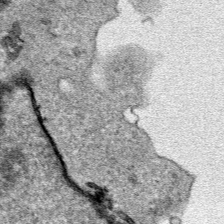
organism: Human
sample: Mitochondria in HCT116 cells